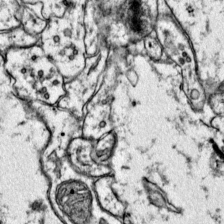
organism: Mouse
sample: Primary visual cortex